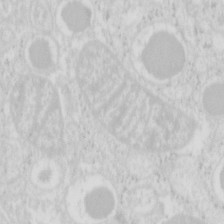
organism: Mouse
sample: Pancreas